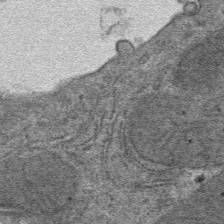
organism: Mouse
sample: Mouse hepatocytes